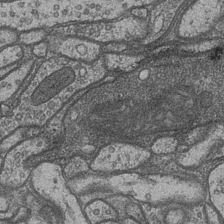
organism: Drosophila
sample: Optic medulla